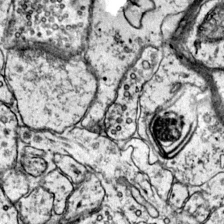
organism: Mouse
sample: Primary visual cortex